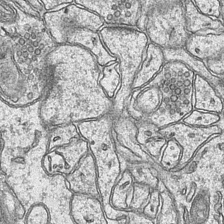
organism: Mouse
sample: CA1 Hippocampus